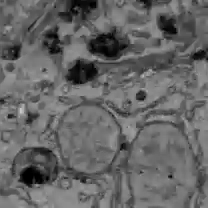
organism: C57BL Mouse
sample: Liver